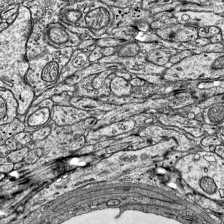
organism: Mouse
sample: Visual Cortex